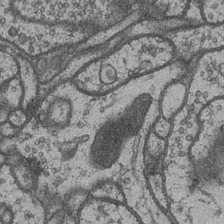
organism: Drosophila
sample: Optic medulla